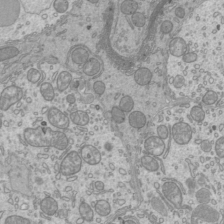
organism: Mouse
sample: Cilia; mouse epididymis